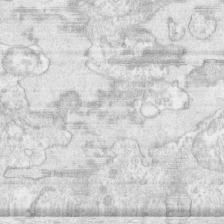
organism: Human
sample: CRL-1474